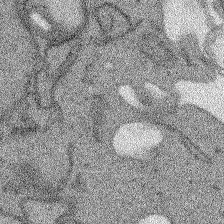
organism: Human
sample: HeLa cells